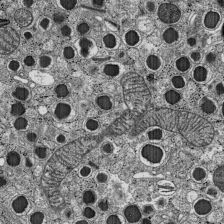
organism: C57BL Mouse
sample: Pancreatic islet